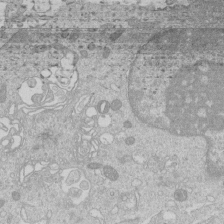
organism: Human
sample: Macrophage cells